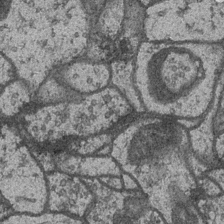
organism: Drosophila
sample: Optic medulla